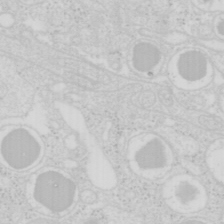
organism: Mouse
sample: Pancreas